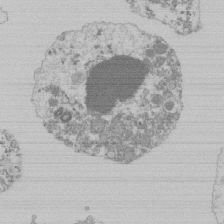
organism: Mouse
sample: Activated Pmel transgenic CD8+ T Cells